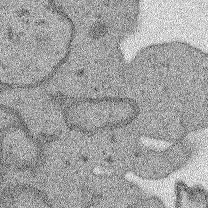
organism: Human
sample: HeLa cells